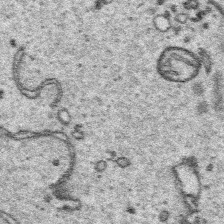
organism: Platynereis dumerilii